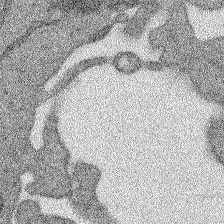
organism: Human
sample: HeLa cells